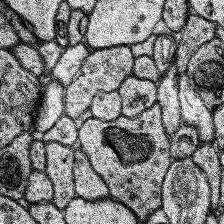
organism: Human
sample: Temporal Lobe